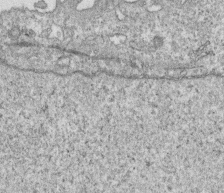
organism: Human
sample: HeLa cell HIV synapse